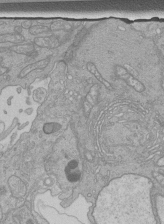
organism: Human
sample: Retinal organoid Rod and Cone cells